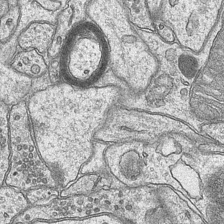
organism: Mouse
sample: CA1 Hippocampus